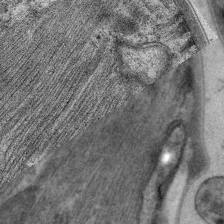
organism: C. elegans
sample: Pharynx